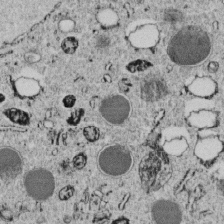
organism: C. elegans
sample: C. elegans embryo early stage